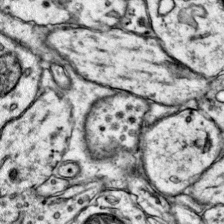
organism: Mouse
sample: Primary visual cortex